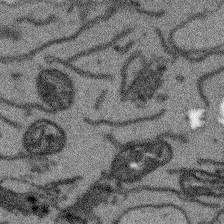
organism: Arabidopsis thaliana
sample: Root tip